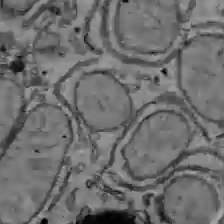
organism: C57BL Mouse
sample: Liver